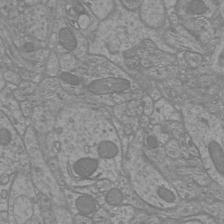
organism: Mouse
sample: Cortical neurons